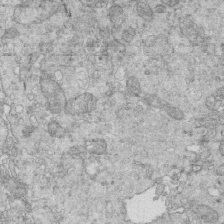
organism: Mouse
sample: Multiciliated cells